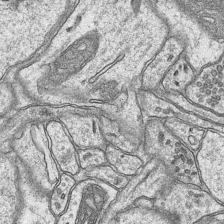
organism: Mouse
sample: CA1 Hippocampus